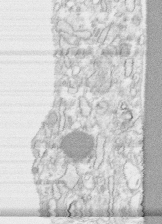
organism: Human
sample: CRL-1474